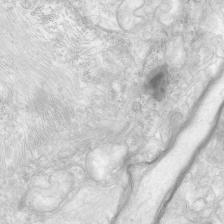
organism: Human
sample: Neocortex